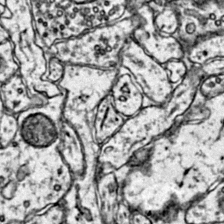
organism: Mouse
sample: Primary visual cortex